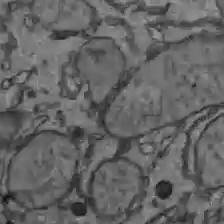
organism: C57BL Mouse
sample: Liver